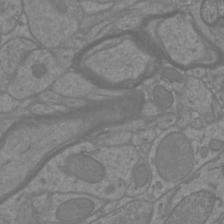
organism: Mouse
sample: Cortical neurons